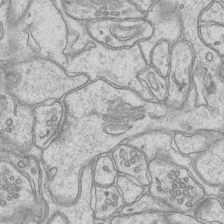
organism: Mouse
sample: CA1 Hippocampus